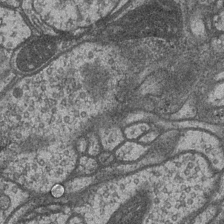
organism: Drosophila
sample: Optic medulla